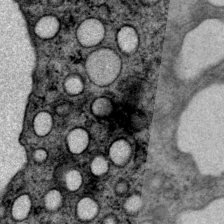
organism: P. pacificus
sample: Pharynx